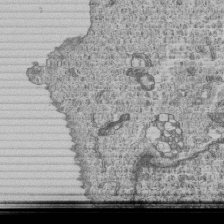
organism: Human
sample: MDA-MB-231 cells